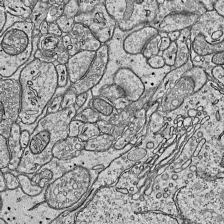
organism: Mouse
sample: Visual Cortex